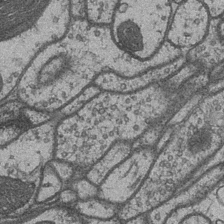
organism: Drosophila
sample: Optic medulla